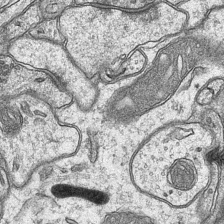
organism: Mouse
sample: CA1 Hippocampus